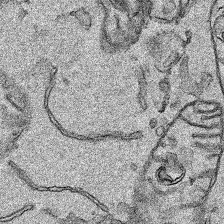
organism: Human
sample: Mitochondria in HCT116 cells